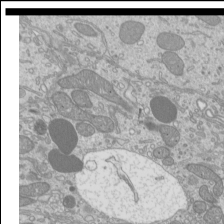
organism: Mouse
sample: Cilia; mouse epididymis